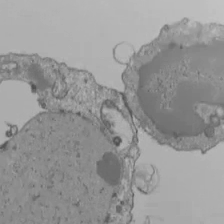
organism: Human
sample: Jurkat E6-1 and CD4 cells